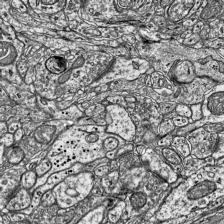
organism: Mouse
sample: Visual Cortex